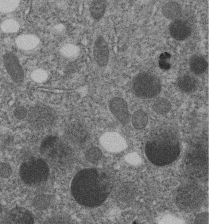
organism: C. elegans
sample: C. elegans embryo early stage